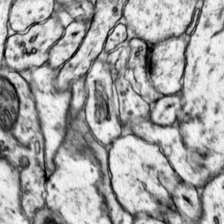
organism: Mouse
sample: Primary visual cortex